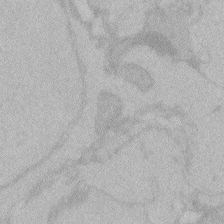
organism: Zebrafish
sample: Macrophage infected with Toxoplasma gondii